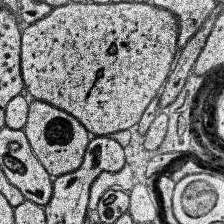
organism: Human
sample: Temporal Lobe